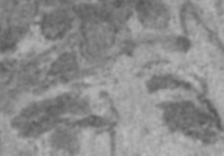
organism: C57BL Mouse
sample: Heart